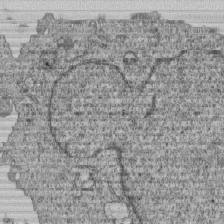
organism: Human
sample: MDA-MB-231 cells